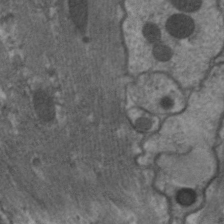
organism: C. elegans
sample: Pharynx